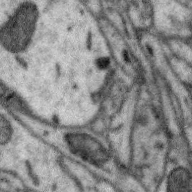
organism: Zebra finch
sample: Brain